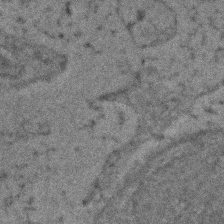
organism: Zebrafish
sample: Zebrafish embryo